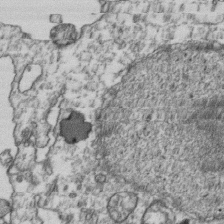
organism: Human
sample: Activated Jurkat CD4+ T cells